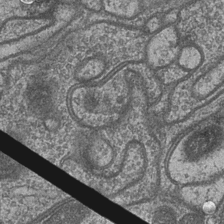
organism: Drosophila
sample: Optic medulla